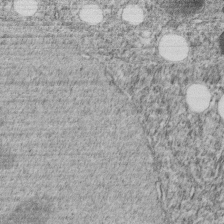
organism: C. elegans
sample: C. elegans embryo early stage